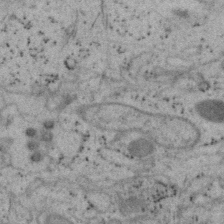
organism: Human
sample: HeLa cells